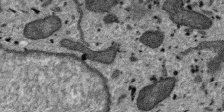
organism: Human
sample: Lung epithelial cells, uninfected (mock) control